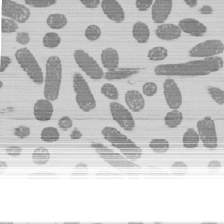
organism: E. coli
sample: Bacterial nucleoid